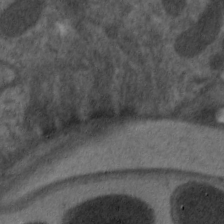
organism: C. elegans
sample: Pharynx